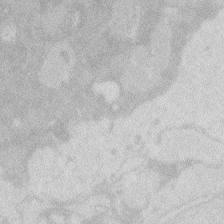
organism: Zebrafish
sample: Macrophage